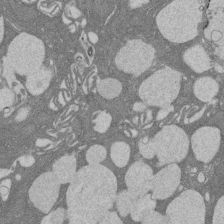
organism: Rat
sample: Salivary granule